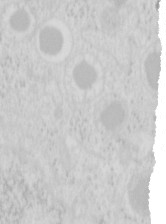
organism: Mouse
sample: Pancreas